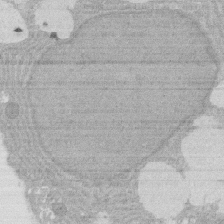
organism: Rat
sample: Salivary granule